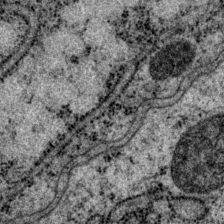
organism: P. pacificus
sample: Pharynx